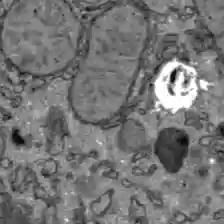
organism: C57BL Mouse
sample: Liver